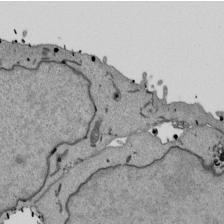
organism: Mouse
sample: ED-1 cell nuclei; centrioles